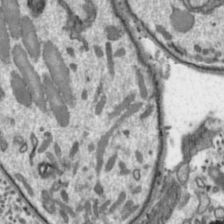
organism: Toxoplasma gondii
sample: Parasites in a vacuole inside a host cell